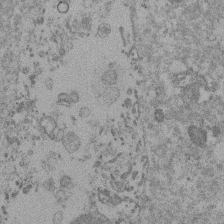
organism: Mouse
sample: Dividing mouse embryo 1 cell stage